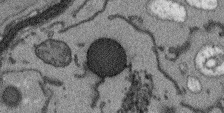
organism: Arabidopsis thaliana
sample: Root tip